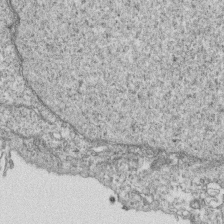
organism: Human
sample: HeLa cell HIV synapse